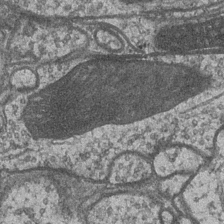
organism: Drosophila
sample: Optic medulla